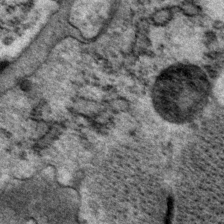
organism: P. pacificus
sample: Pharynx